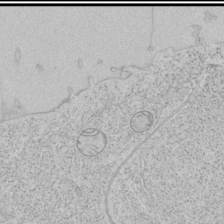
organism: Human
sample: Mitochondria in HCT116 cells